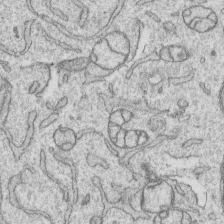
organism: Human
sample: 1205lu cells